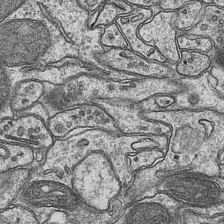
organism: Mouse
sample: CA1 Hippocampus